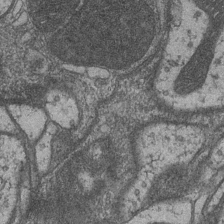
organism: Drosophila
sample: Optic medulla